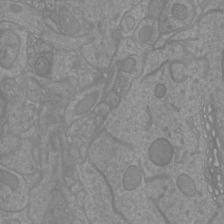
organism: Mouse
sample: Cortical neurons